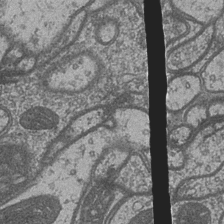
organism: Drosophila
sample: Optic medulla